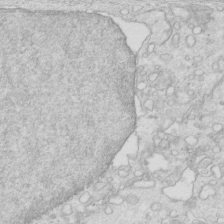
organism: Mouse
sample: Multiciliated cells